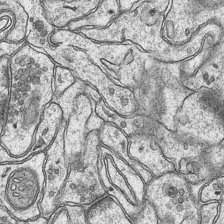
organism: Mouse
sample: CA1 Hippocampus